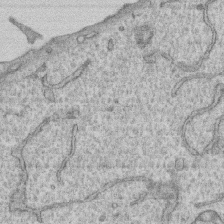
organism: Human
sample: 1205lu cells